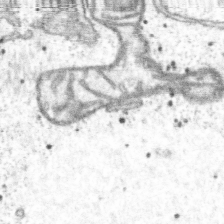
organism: Human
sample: HeLa cells